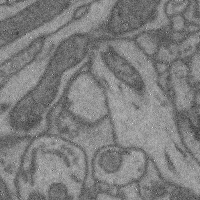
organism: Mouse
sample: Cerebral cortex